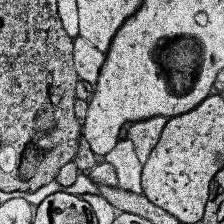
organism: Human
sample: Temporal Lobe